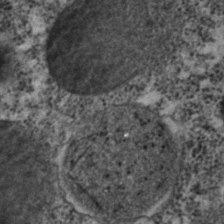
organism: C. elegans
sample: C. elegans embryo